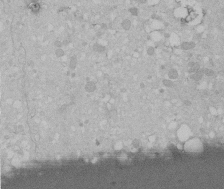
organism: Human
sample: Melanocyte Keratinocyte synapse skin construct